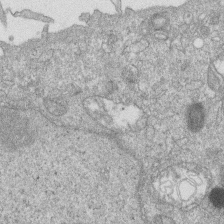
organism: Human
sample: HeLa cell HIV synapse